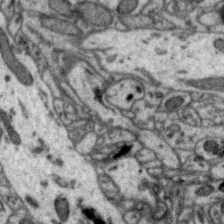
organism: Zebra finch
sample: Brain